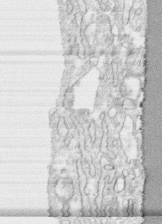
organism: Human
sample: CRL-1474